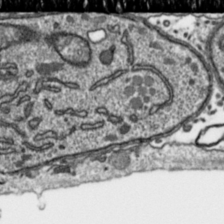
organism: Toxoplasma gondii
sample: Parasites in a vacuole inside a host cell